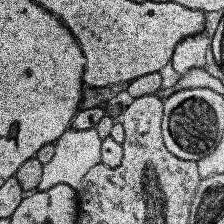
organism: Human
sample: Temporal Lobe